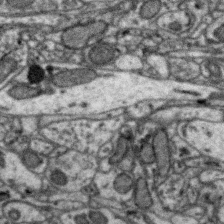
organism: Zebra finch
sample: Brain